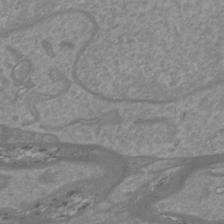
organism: Mouse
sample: Cortical neurons